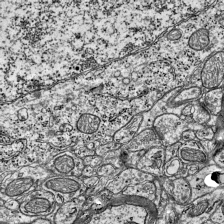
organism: Mouse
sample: Visual Cortex